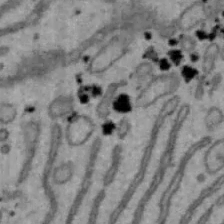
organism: Mouse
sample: Liver